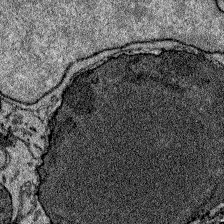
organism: Zebrafish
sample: Larval olfactory bulb